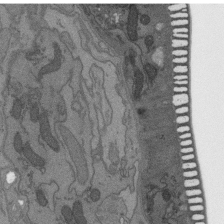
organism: C. elegans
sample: AFD neurons C. elegans